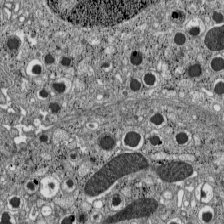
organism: C57BL Mouse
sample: Pancreatic islet